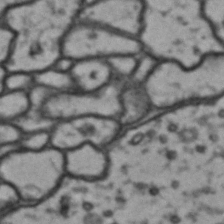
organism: Drosophila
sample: Brain